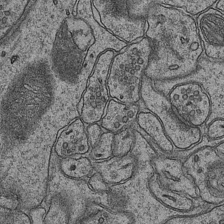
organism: Mouse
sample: CA1 Hippocampus